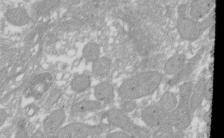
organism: Xenopus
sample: Cilia; centrioles in frog embryo cells